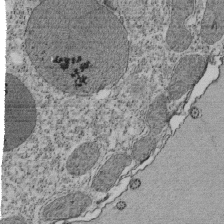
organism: Tetrahymena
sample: Cilia in tetrahymena